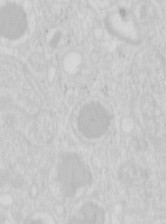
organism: Mouse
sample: Pancreas